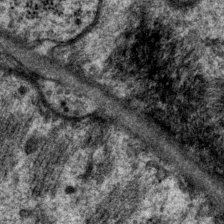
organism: P. pacificus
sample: Pharynx